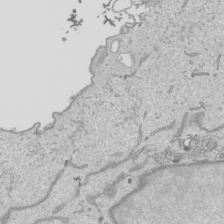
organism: Human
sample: Mitochondria in HCT116 cells